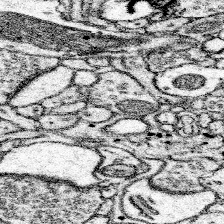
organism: Mouse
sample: Somatosensory cortex neuropil